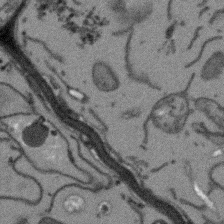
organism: Arabidopsis thaliana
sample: Root tip